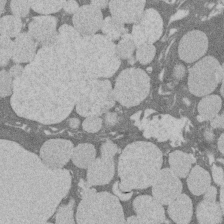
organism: Rat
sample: Salivary granule